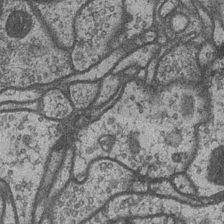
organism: Drosophila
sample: Optic medulla